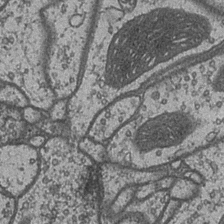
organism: Drosophila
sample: Optic medulla